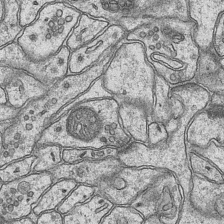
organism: Mouse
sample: CA1 Hippocampus